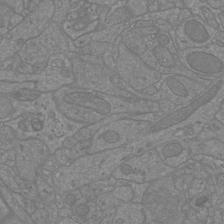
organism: Mouse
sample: Cortical neurons